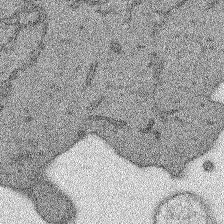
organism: Human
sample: HeLa cells